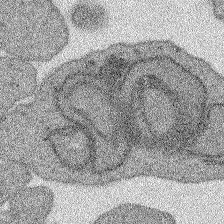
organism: Human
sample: HeLa cells